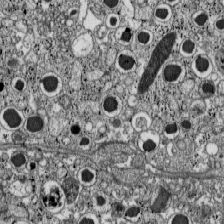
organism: C57BL Mouse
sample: Pancreatic islet